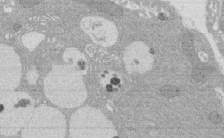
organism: Rat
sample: Salivary granule